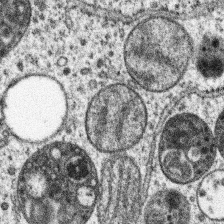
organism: Human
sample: HeLa cells